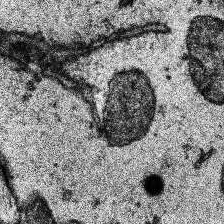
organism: Human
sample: Temporal Lobe